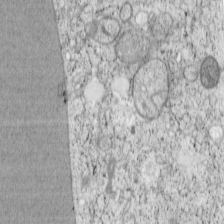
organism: African green monkey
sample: COS-7 cells